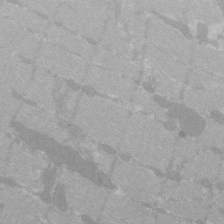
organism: C57BL Mouse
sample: Tibialis anterior muscle cell